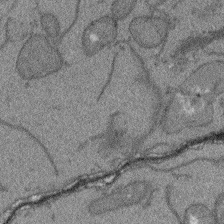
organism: Arabidopsis thaliana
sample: Root tip